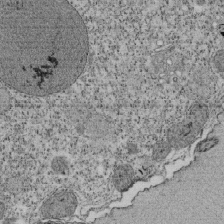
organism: Tetrahymena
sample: Cilia in tetrahymena